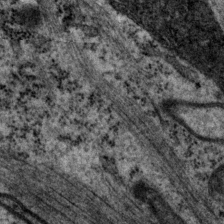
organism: P. pacificus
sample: Pharynx